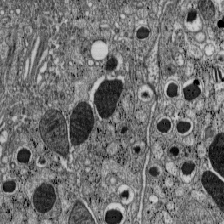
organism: C57BL Mouse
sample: Pancreatic islet